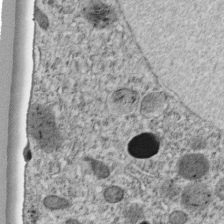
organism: C. elegans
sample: C. elegans embryo early stage